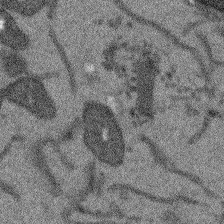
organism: Arabidopsis thaliana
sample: Root tip